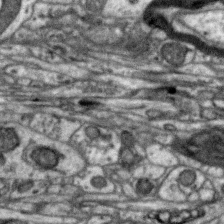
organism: Zebra finch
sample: Brain